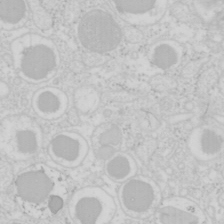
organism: Mouse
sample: Pancreas